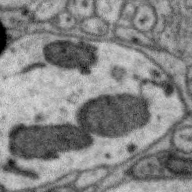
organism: Zebra finch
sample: Brain